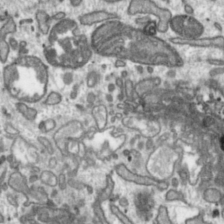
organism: Toxoplasma gondii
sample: Parasites in a vacuole inside a host cell